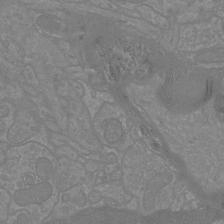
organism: Mouse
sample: Cortical neurons